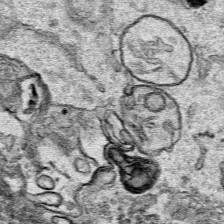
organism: Human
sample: Mitochondria in HCT116 cells